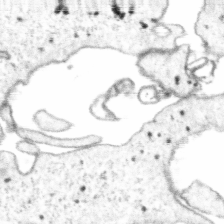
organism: Human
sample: HeLa cells